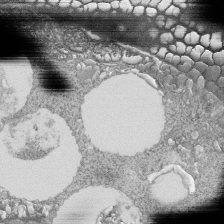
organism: Tetrahymena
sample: Cilia in tetrahymena